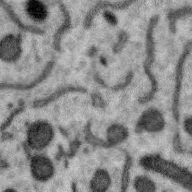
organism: Zebra finch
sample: Brain